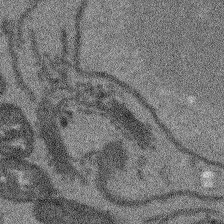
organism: Arabidopsis thaliana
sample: Root tip